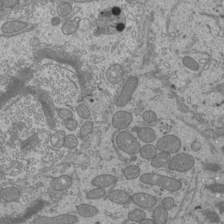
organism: Mouse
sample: Cilia; mouse epididymis